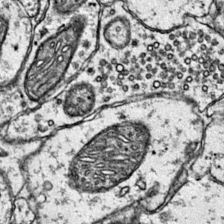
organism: Mouse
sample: Primary visual cortex